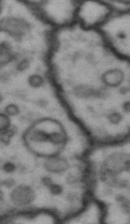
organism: Drosophila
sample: Brain